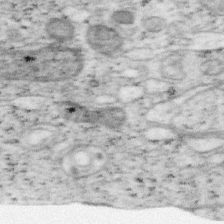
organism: Mouse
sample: OT-I killer T cells with ID8 ovarian cancer cells